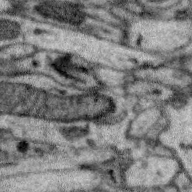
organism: Zebra finch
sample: Brain